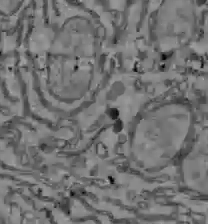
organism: C57BL Mouse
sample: Liver